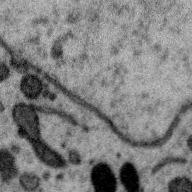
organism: Zebra finch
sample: Brain